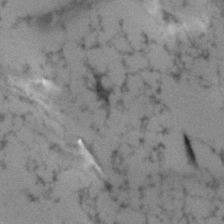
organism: Human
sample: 1205lu cells